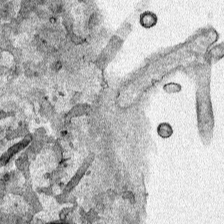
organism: Human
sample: Mitochondria in HCT116 cells